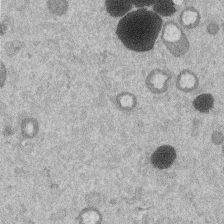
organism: Mouse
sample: Dividing mouse embryo 1 cell stage